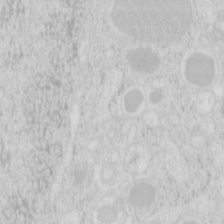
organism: Mouse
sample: Pancreas